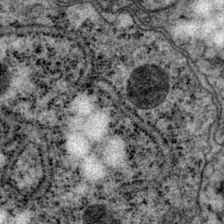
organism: P. pacificus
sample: Pharynx